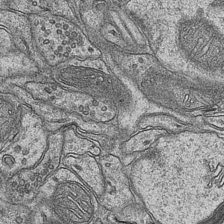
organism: Mouse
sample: CA1 Hippocampus